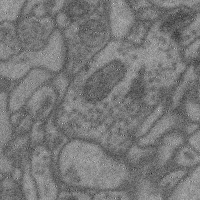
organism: Mouse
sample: Cerebral cortex